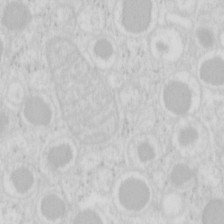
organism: Mouse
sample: Pancreas